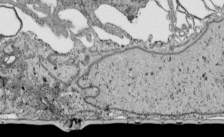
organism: Human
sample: Mitochondria in HCT116 cells